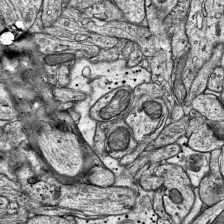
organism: Mouse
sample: Visual Cortex